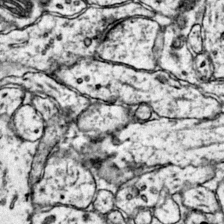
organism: Mouse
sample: Primary visual cortex